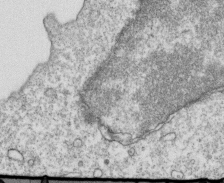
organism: Mouse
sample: Activated OT-1 CD8+ T cells